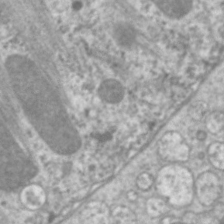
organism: C. elegans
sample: Pharynx